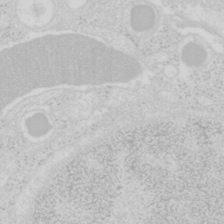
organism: Mouse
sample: Pancreas